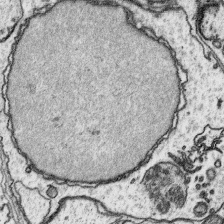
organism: Platynereis dumerilii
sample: Parapodia